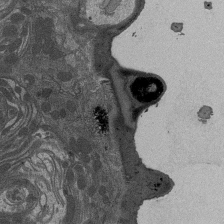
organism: Drosophila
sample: Antenna